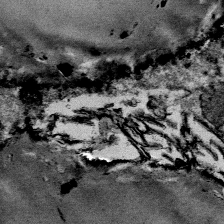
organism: Mouse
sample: Mouse Salivary gland